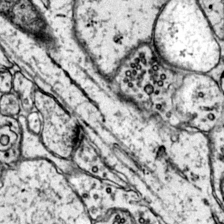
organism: Mouse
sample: Primary visual cortex